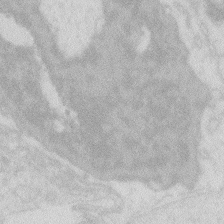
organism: Zebrafish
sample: Macrophage